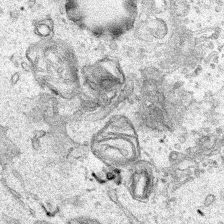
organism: Human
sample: Mitochondria in HCT116 cells